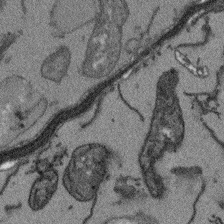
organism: Arabidopsis thaliana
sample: Root tip